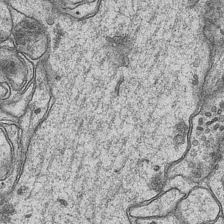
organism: Mouse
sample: CA1 Hippocampus